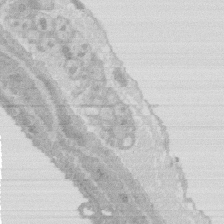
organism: Rat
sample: Salivary granule